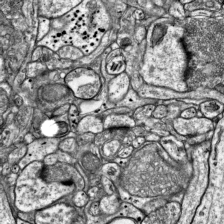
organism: Mouse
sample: Visual Cortex